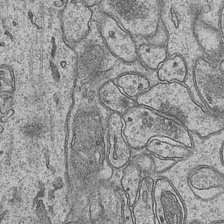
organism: Mouse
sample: CA1 Hippocampus